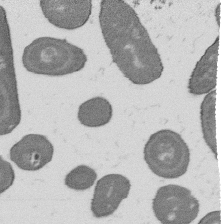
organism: B. subtilis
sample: Bacterial spore